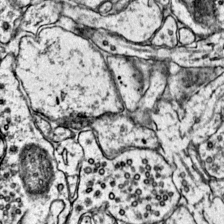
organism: Mouse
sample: Primary visual cortex